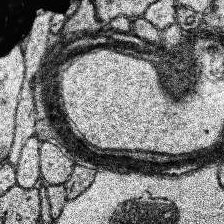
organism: Human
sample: Temporal Lobe